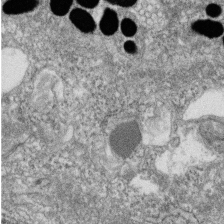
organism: Zebrafish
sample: Cilia; retinal pigment epithelium